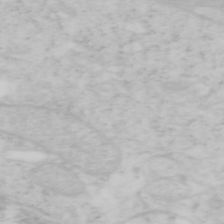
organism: Mouse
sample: OT-I killer T cells with ID8 ovarian cancer cells